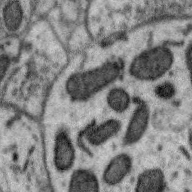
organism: Zebra finch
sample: Brain